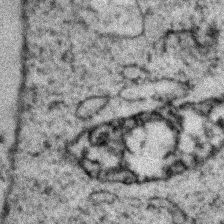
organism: Zebrafish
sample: Zebrafish embryo